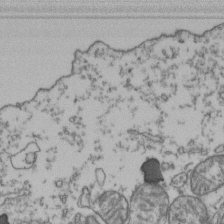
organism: Human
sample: Activated Jurkat CD4+ T cells